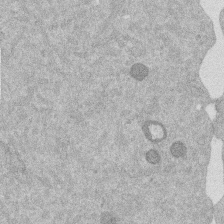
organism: Mouse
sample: Dividing mouse embryo 1 cell stage